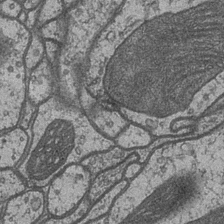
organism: Drosophila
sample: Optic medulla